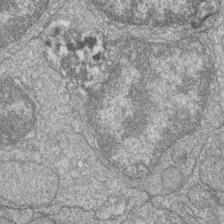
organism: Zebrafish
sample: Cilia; retinal pigment epithelium